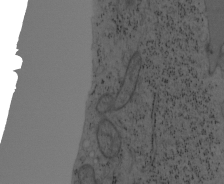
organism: Mouse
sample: OT-I killer T cells with ID8 ovarian cancer cells